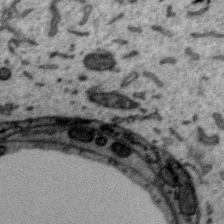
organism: Zebra finch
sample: Brain